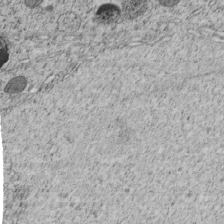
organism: C. elegans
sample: C. elegans embryo early stage